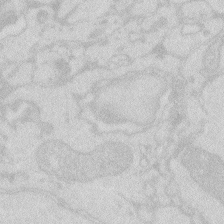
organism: Zebrafish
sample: Macrophage